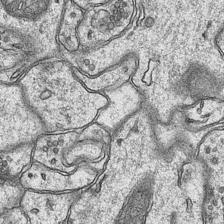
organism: Mouse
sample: CA1 Hippocampus